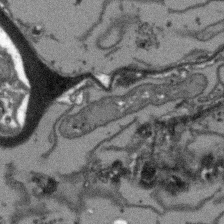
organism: Arabidopsis thaliana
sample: Root tip